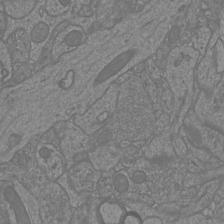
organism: Mouse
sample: Cortical neurons